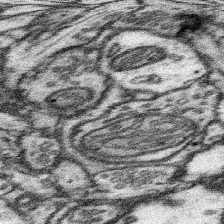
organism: Mouse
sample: Somatosensory cortex neuropil